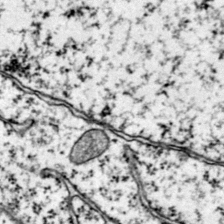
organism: Mouse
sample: Primary visual cortex